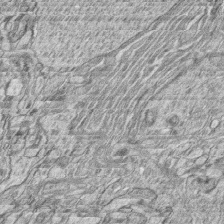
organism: Zebrafish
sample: synaptic ribbons in rod cells and cone cells